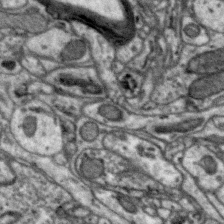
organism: Zebra finch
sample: Brain